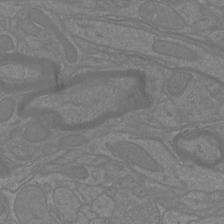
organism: Mouse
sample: Cortical neurons